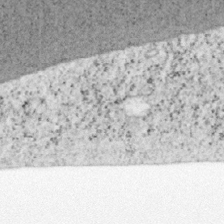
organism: Mouse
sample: OT-I killer T cells with ID8 ovarian cancer cells